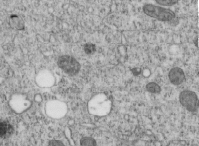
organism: C. elegans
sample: C. elegans embryo early stage